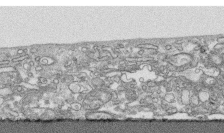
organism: Human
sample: CRL-1474